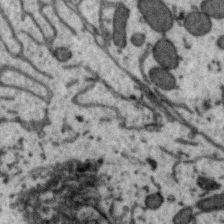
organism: Zebra finch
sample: Brain